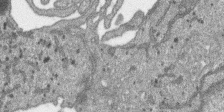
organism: Human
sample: Lung epithelial cells infected with SARS-CoV-2